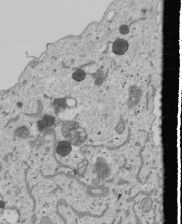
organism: Human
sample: Mitochondria in U2OS cells